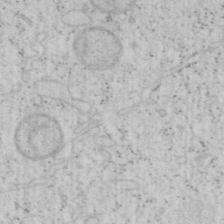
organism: Human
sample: HeLa cells